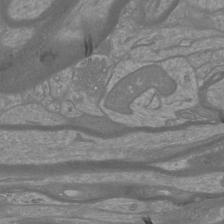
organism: Mouse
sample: Cortical neurons